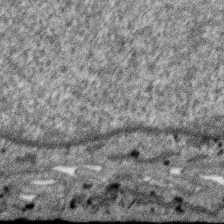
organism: Human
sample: Lung epithelial cells infected with SARS-CoV-2